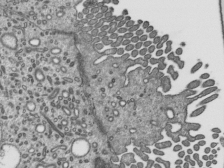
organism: Mouse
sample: Mouse epididymis efferent ductule cilia